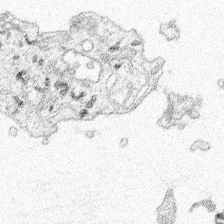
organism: Spongilla lacustris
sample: Multiple